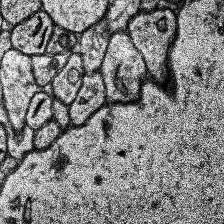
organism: Human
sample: Temporal Lobe